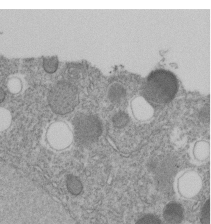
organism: C. elegans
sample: C. elegans embryo early stage